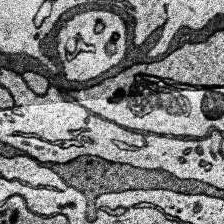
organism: Human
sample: Temporal Lobe